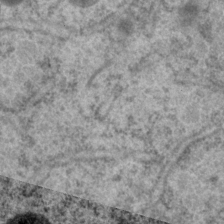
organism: P. pacificus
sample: Pharynx